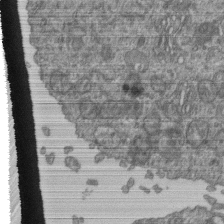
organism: Human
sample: Retinal organoid Rod and Cone cells